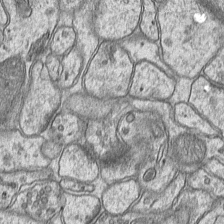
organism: Mouse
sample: CA1 Hippocampus